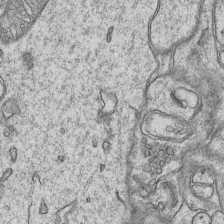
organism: Mouse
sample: CA1 Hippocampus